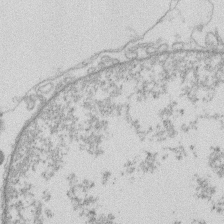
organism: Human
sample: Macrophage cells